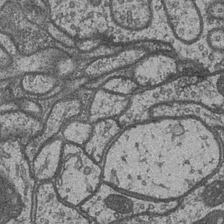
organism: Drosophila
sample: Optic medulla